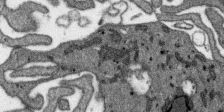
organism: Human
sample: Lung epithelial cells, uninfected (mock) control